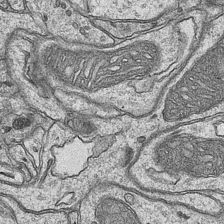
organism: Mouse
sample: CA1 Hippocampus